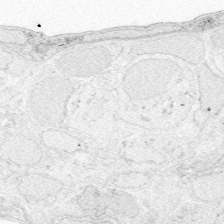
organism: Zebrafish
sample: Whole-Brain